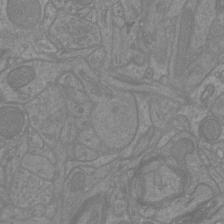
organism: Mouse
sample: Cortical neurons